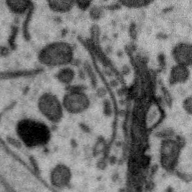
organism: Zebra finch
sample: Brain